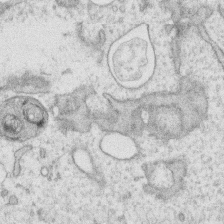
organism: Human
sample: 1205lu cells